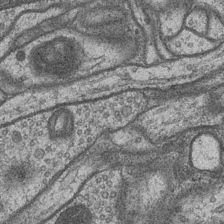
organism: Drosophila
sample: Optic medulla